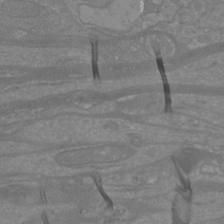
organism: Mouse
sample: Cortical neurons